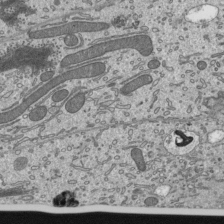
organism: Mouse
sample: Mouse epididymis efferent ductule cilia